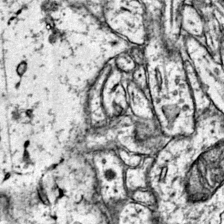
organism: Mouse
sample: Primary visual cortex